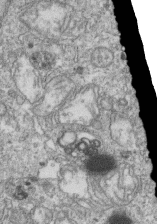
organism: Human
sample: HeLa cell HIV synapse